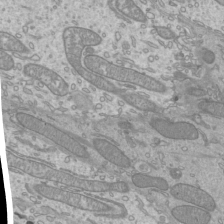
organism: Mouse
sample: Cilia; mouse epididymis